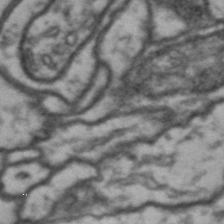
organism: Drosophila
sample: Brain